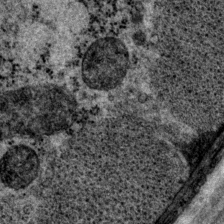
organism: P. pacificus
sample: Pharynx